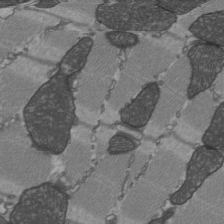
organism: C57BL Mouse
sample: Heart